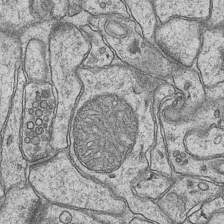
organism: Mouse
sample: CA1 Hippocampus